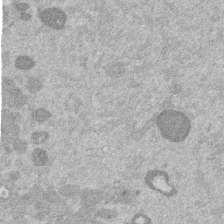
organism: Mouse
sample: Dividing mouse embryo 1 cell stage